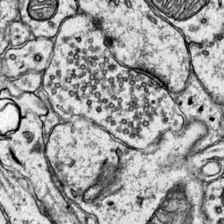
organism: Mouse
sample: Primary visual cortex